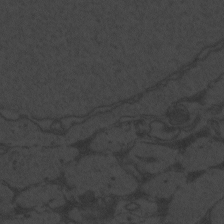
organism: Zebrafish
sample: Macrophage infected with Toxoplasma gondii